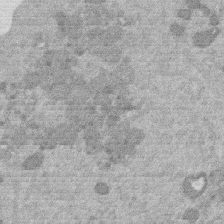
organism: Mouse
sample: Dividing mouse embryo 1 cell stage